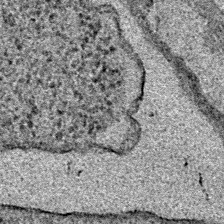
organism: E. coli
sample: E. Coli Bacteria